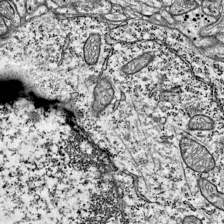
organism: Mouse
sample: Visual Cortex